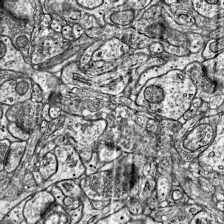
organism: Mouse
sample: Visual Cortex